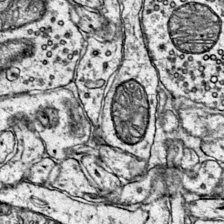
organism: Mouse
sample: Primary visual cortex